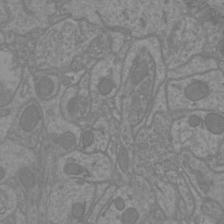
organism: Mouse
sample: Cortical neurons